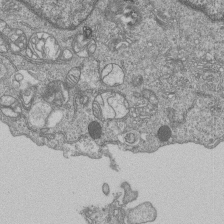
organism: Human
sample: MDA-MB-231 cells